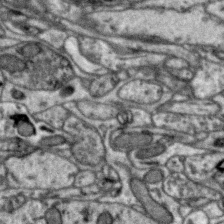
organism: Zebra finch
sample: Brain